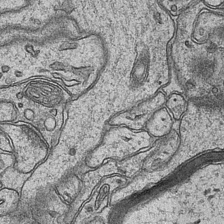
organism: Mouse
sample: CA1 Hippocampus